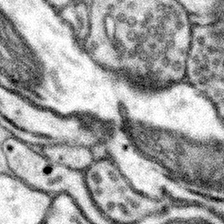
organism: Mouse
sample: Somatosensory cortex neuropil